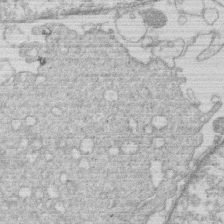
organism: Human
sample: Macrophage cells